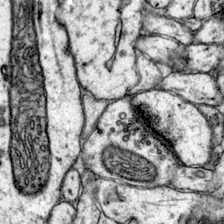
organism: Mouse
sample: Primary visual cortex